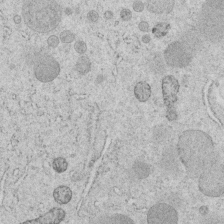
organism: C. elegans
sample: C. elegans embryo early stage